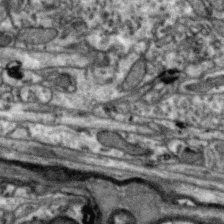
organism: Zebra finch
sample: Brain